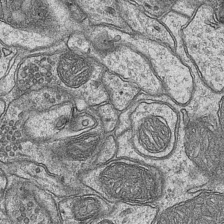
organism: Mouse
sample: CA1 Hippocampus